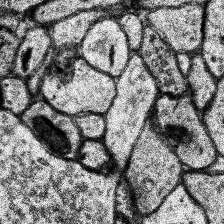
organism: Human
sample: Temporal Lobe